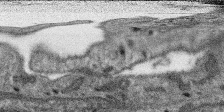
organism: Human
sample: Lung epithelial cells infected with SARS-CoV-2